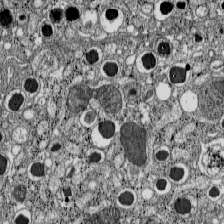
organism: C57BL Mouse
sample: Pancreatic islet